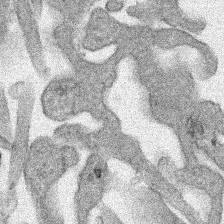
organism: Human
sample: Mitochondria in HCT116 cells